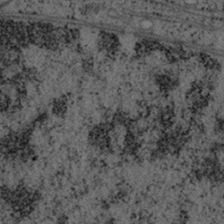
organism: Human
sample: HeLa cells